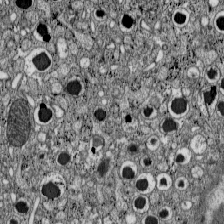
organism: C57BL Mouse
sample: Pancreatic islet